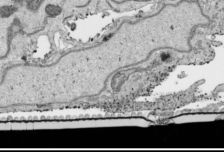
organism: Human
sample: Mitochondria in HCT116 cells